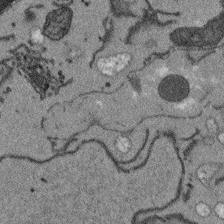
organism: Arabidopsis thaliana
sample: Root tip